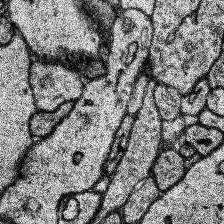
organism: Human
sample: Temporal Lobe